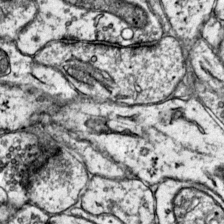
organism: Mouse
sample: Primary visual cortex